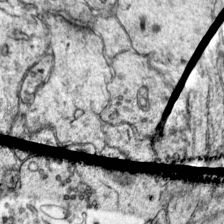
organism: Mouse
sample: Primary visual cortex